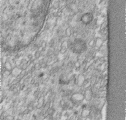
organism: Human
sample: Centriole in RPE cells